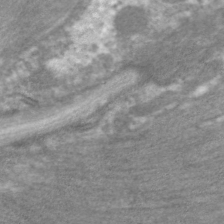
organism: C. elegans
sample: Pharynx